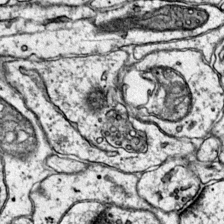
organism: Mouse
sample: Primary visual cortex